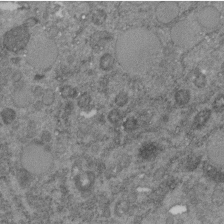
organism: C. elegans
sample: C. elegans embryo early stage